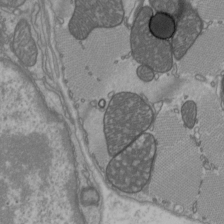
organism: C57BL Mouse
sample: Heart